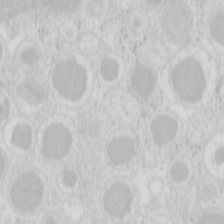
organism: Mouse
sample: Pancreas